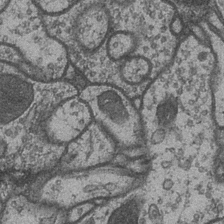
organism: Drosophila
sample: Optic medulla